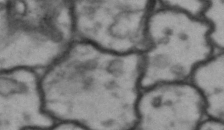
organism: Drosophila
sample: Brain